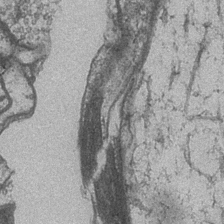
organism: Drosophila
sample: Optic medulla